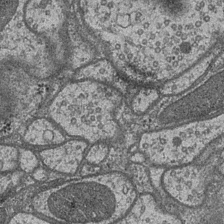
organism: Drosophila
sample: Optic medulla